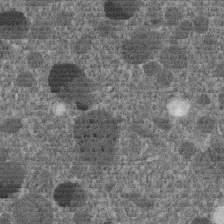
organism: C. elegans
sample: C. elegans embryo early stage